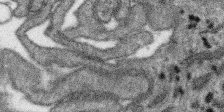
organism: Human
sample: Lung epithelial cells infected with SARS-CoV-2